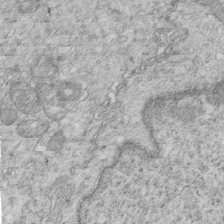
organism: Mouse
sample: Multiciliated cells